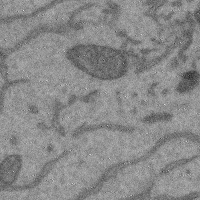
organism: Mouse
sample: Cerebral cortex